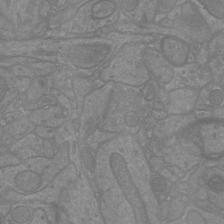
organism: Mouse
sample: Cortical neurons